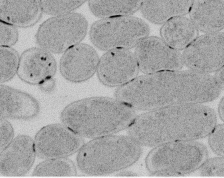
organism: E. coli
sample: Bacterial nucleoid